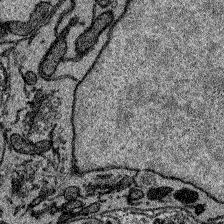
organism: Zebrafish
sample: Larval olfactory bulb